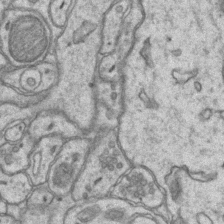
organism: Mouse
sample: CA1 Hippocampus